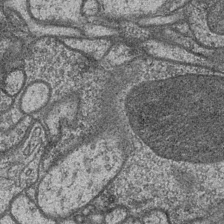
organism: Drosophila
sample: Optic medulla